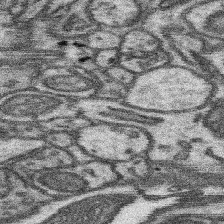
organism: Mouse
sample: Somatosensory cortex neuropil